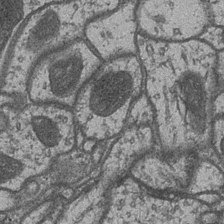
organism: Drosophila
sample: Optic medulla